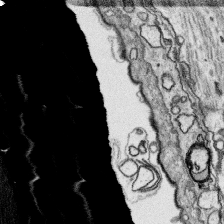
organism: Platynereis dumerilii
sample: Parapodia